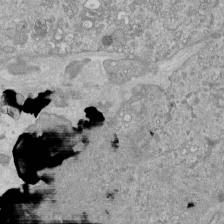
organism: Mouse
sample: ED-1 cell nuclei; centrioles